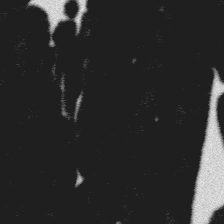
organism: Platynereis dumerilii